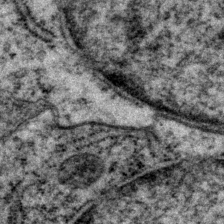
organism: P. pacificus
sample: Pharynx